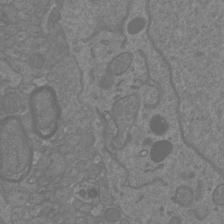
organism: Mouse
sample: Cortical neurons